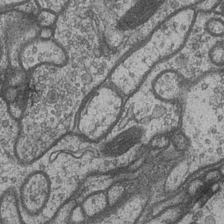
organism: Drosophila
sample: Optic medulla